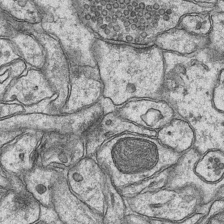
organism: Mouse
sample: CA1 Hippocampus